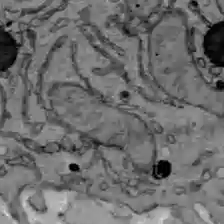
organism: C57BL Mouse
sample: Liver